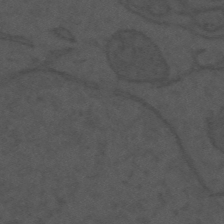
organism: Mouse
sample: Suprachiasmatic nucleus